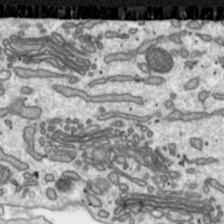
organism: Toxoplasma gondii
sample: Parasites in a vacuole inside a host cell